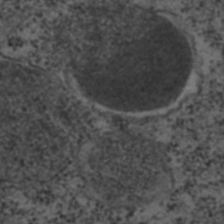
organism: C. elegans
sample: C. elegans embryo